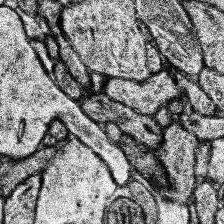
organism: Human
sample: Temporal Lobe